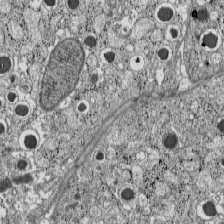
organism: C57BL Mouse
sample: Pancreatic islet